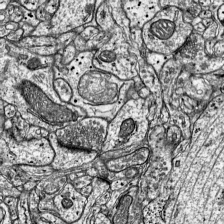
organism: Mouse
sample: Visual Cortex